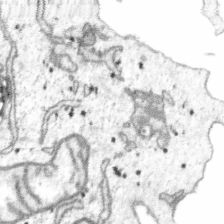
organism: Human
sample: HeLa cells